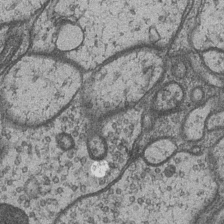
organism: Drosophila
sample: Optic medulla